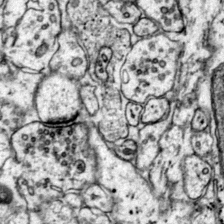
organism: Mouse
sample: Primary visual cortex